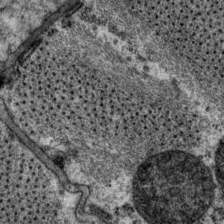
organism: P. pacificus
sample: Pharynx